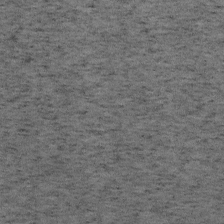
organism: Mouse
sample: OT-I killer T cells with ID8 ovarian cancer cells